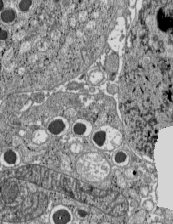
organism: C57BL Mouse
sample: Pancreatic islet